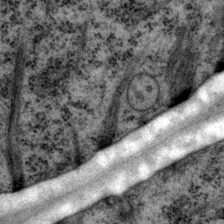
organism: P. pacificus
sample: Pharynx